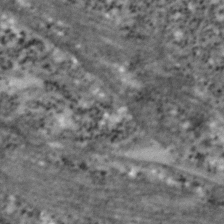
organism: Zebrafish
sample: Zebrafish embryo